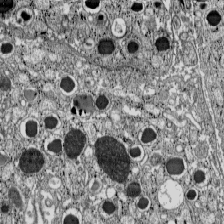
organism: C57BL Mouse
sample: Pancreatic islet